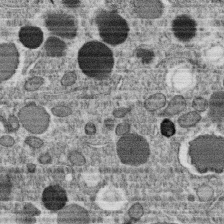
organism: C. elegans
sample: C. elegans oocyte; sperm cells